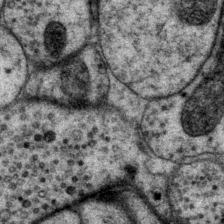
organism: P. pacificus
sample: Pharynx